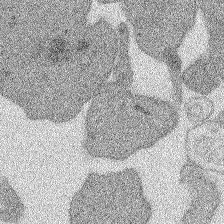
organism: Human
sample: HeLa cells